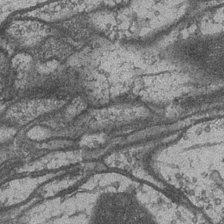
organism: Drosophila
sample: Optic medulla